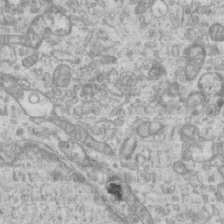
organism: Mouse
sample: Centriole in ependymal cells